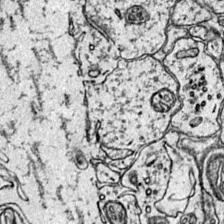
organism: Mouse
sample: Primary visual cortex